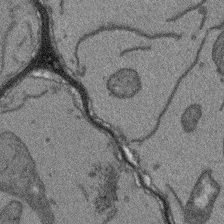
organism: Arabidopsis thaliana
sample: Root tip